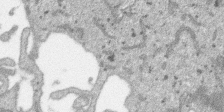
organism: Human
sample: Lung epithelial cells infected with SARS-CoV-2